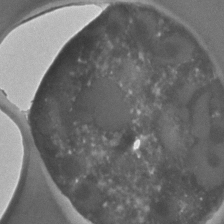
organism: C. elegans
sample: C. elegans embryo